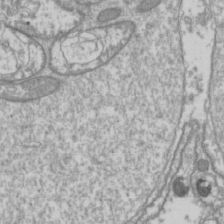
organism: Drosophila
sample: Cell division; meiosis; drosophila spermatocytes